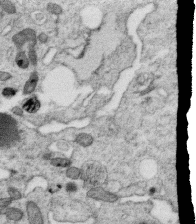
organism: C. elegans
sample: C. elegans oocyte; sperm cells